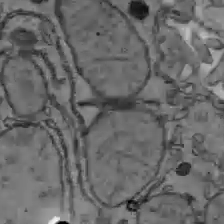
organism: C57BL Mouse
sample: Liver